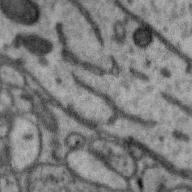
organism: Zebra finch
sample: Brain